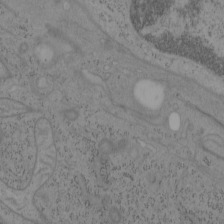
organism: Mouse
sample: OT-I killer T cells with ID8 ovarian cancer cells